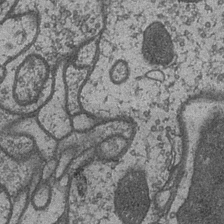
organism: Drosophila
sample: Optic medulla